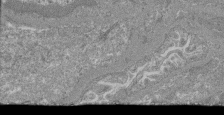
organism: Mouse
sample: Glomerulus